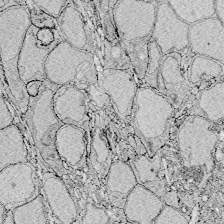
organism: Zebrafish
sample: Whole-Brain